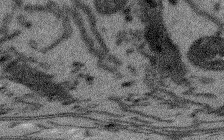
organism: Arabidopsis thaliana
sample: Root tip